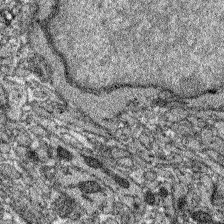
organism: Zebrafish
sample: Larval olfactory bulb